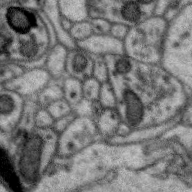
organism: Zebra finch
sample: Brain